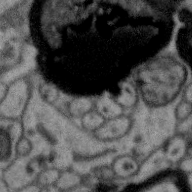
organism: Zebra finch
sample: Brain